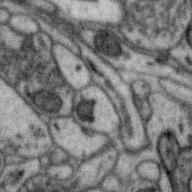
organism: Zebra finch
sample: Brain